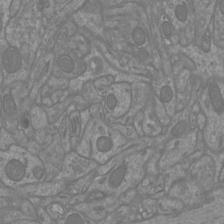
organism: Mouse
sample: Cortical neurons